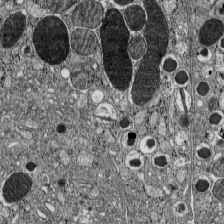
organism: C57BL Mouse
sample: Pancreatic islet